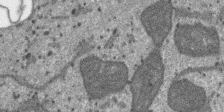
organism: Human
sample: Lung epithelial cells infected with SARS-CoV-2